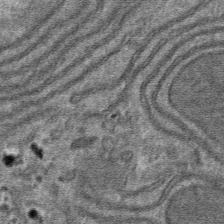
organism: Mouse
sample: Mouse hepatocytes